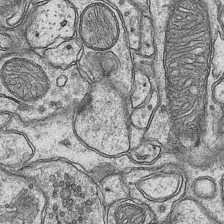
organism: Mouse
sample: CA1 Hippocampus